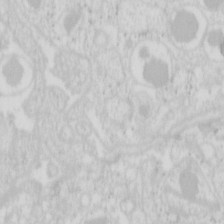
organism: Mouse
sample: Pancreas